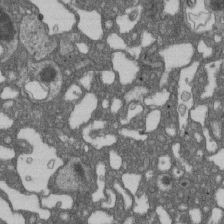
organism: Drosophila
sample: Nephrocyte